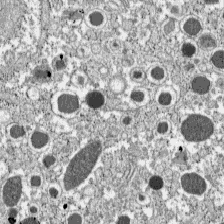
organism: C57BL Mouse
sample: Pancreatic islet